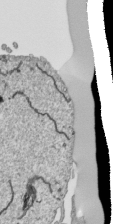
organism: Human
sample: Mitochondria in HCT116 cells